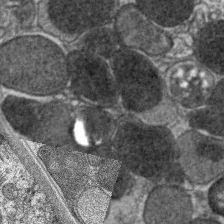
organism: C. elegans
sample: Pharynx